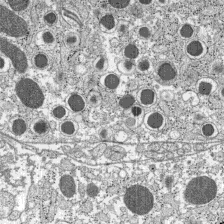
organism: C57BL Mouse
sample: Pancreatic islet